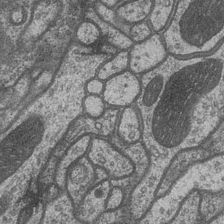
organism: Drosophila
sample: Optic medulla